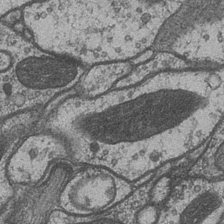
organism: Drosophila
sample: Optic medulla